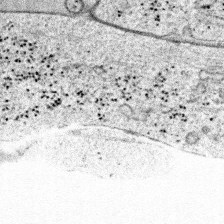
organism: Human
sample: HeLa cells